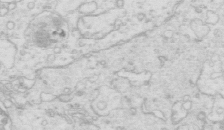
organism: Mouse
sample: Multiciliated cells